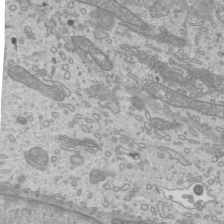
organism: Mouse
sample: Cilia; mouse epididymis